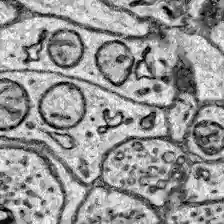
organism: Zebrafish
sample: Brain